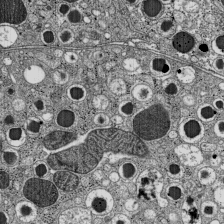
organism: C57BL Mouse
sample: Pancreatic islet